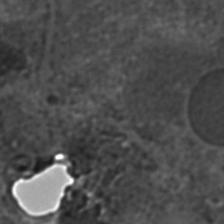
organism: C. elegans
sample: C. elegans embryo